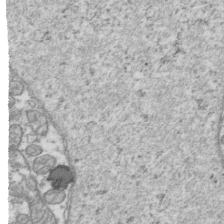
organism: Human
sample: Activated Jurkat CD4+ T cells